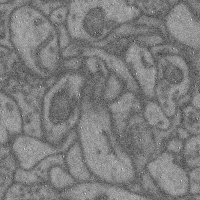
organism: Mouse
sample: Cerebral cortex